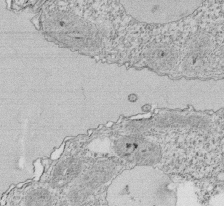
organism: Tetrahymena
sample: Cilia in tetrahymena